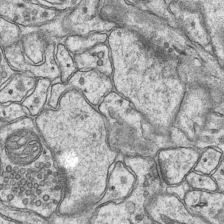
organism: Mouse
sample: CA1 Hippocampus